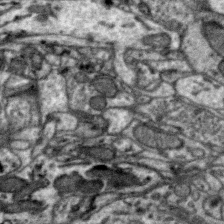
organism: Zebra finch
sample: Brain